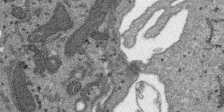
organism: Human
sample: Lung epithelial cells infected with SARS-CoV-2